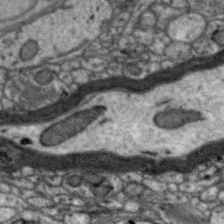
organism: Zebra finch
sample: Brain